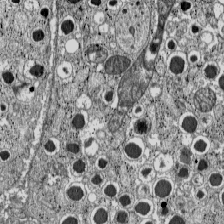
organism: C57BL Mouse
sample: Pancreatic islet